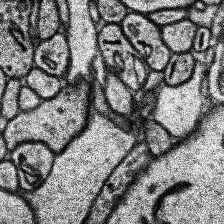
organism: Human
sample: Temporal Lobe